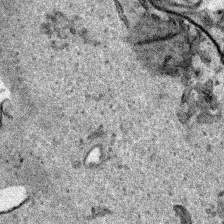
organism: Human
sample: Mitochondria in HCT116 cells